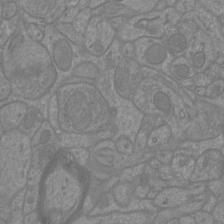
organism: Mouse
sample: Cortical neurons